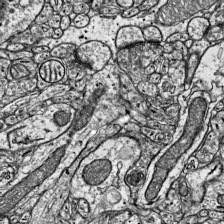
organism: Mouse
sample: Visual Cortex